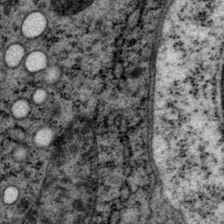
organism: P. pacificus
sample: Pharynx